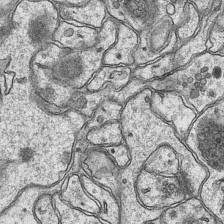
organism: Mouse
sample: CA1 Hippocampus